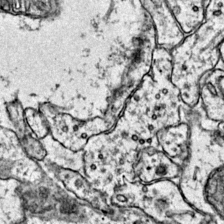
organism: Mouse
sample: Primary visual cortex